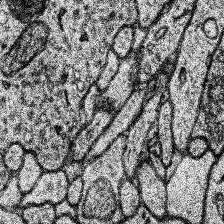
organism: Human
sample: Temporal Lobe